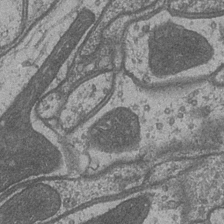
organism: Drosophila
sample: Optic medulla